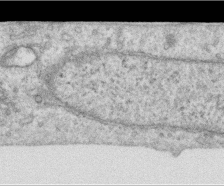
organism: Human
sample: Centriole in RPE cells